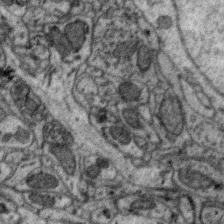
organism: Zebra finch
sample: Brain